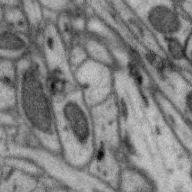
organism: Zebra finch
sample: Brain